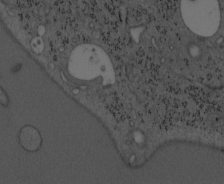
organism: Mouse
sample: OT-I killer T cells with ID8 ovarian cancer cells